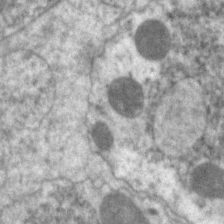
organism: C. elegans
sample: Pharynx